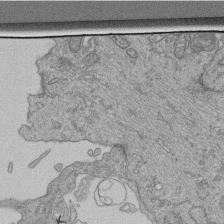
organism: Human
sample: Retinal organoid Rod and Cone cells